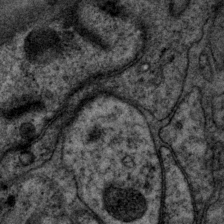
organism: P. pacificus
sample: Pharynx